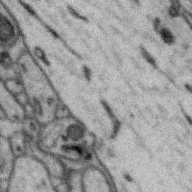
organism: Zebra finch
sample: Brain